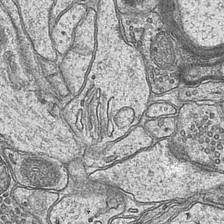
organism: Mouse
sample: CA1 Hippocampus